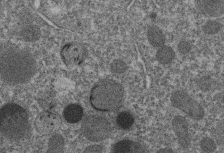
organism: C. elegans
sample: C. elegans embryo early stage